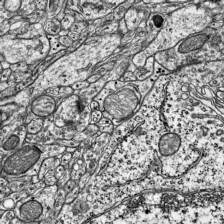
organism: Mouse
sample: Visual Cortex